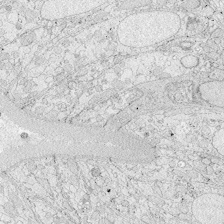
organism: Zebrafish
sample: Whole-Brain